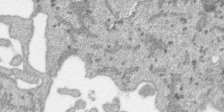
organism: Human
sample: Lung epithelial cells infected with SARS-CoV-2